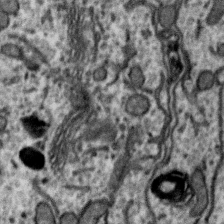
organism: Zebra finch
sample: Brain